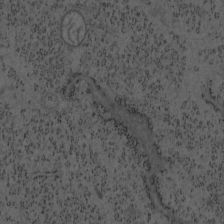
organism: Mouse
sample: OT-I killer T cells with ID8 ovarian cancer cells